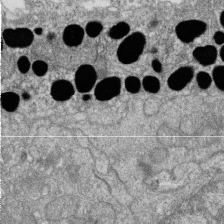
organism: Zebrafish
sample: Cilia; retinal pigment epithelium